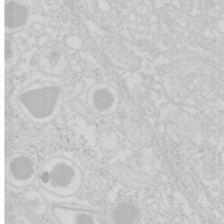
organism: Mouse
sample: Pancreas